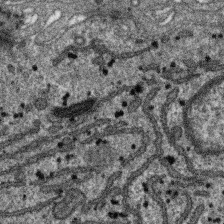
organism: Human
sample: Lung epithelial cells infected with SARS-CoV-2